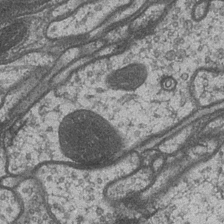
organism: Drosophila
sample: Optic medulla